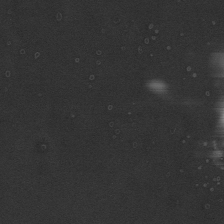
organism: Mouse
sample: Cilia; mouse epididymis